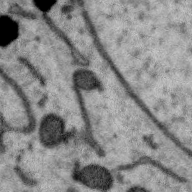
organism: Zebra finch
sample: Brain